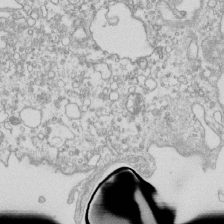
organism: Mouse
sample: Macrophages